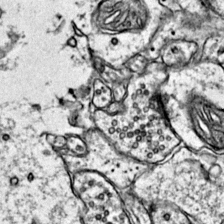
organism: Mouse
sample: Primary visual cortex